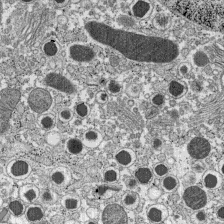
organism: C57BL Mouse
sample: Pancreatic islet